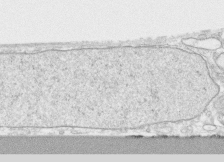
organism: Human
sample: CRL-1474